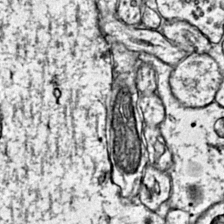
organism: Mouse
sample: Primary visual cortex